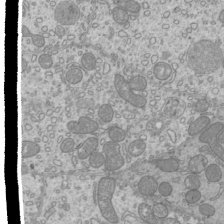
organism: Mouse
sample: Cilia; mouse epididymis